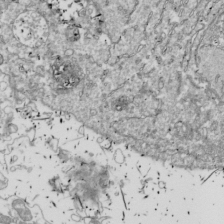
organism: Drosophila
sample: Cell division; meiosis; drosophila spermatocytes